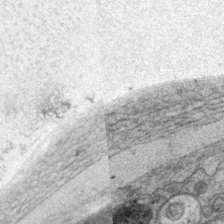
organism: P. pacificus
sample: Pharynx